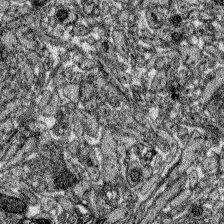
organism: Zebrafish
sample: Larval olfactory bulb